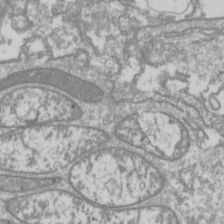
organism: Drosophila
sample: Cell division; meiosis; drosophila spermatocytes